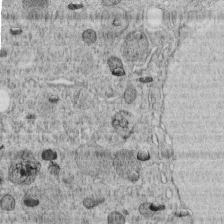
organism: C. elegans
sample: C. elegans embryo early stage